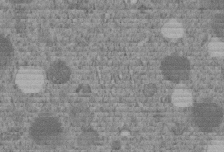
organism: C. elegans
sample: C. elegans embryo early stage